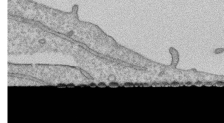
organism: Human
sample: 1205lu cells